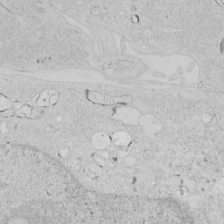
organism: Human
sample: Mitochondria in HCT116 cells